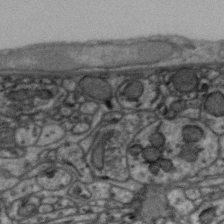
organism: Zebra finch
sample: Brain